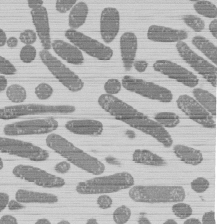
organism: E. coli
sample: Bacterial nucleoid